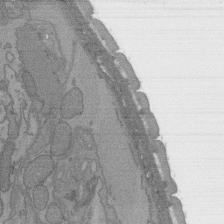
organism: C. elegans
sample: AFD neurons C. elegans